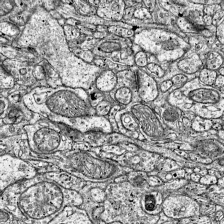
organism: Mouse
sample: Visual Cortex